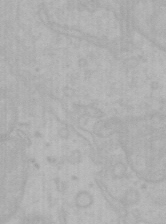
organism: Mouse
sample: Choroid plexus